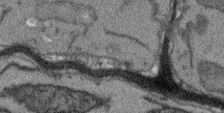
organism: Arabidopsis thaliana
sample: Root tip